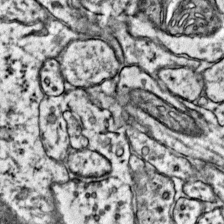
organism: Mouse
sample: Primary visual cortex